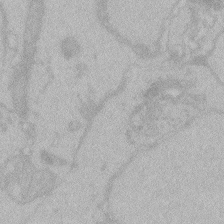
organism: Zebrafish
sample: Macrophage infected with Toxoplasma gondii